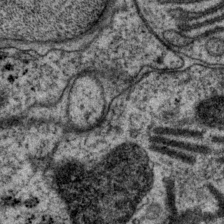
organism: P. pacificus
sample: Pharynx